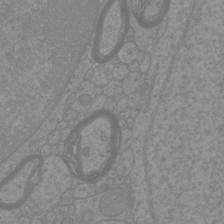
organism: Mouse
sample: Cortical neurons